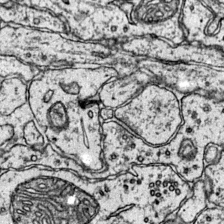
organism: Mouse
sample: Primary visual cortex